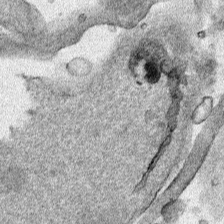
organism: Human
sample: Mitochondria in HCT116 cells